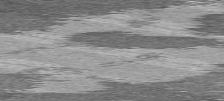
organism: C57BL Mouse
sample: Heart